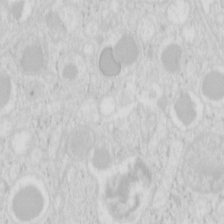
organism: Mouse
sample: Pancreas